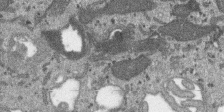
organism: Human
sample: Lung epithelial cells infected with SARS-CoV-2